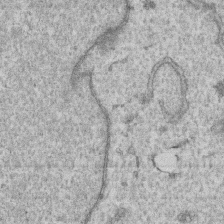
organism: Human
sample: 1205lu cells